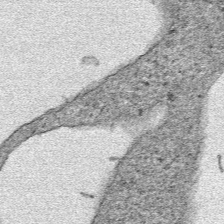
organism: Human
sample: Mitochondria in HCT116 cells